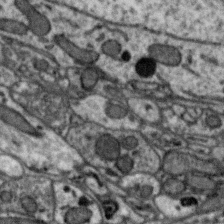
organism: Zebra finch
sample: Brain